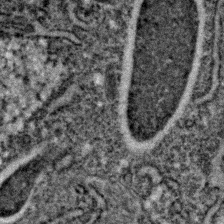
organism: C. elegans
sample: C. elegans embryo